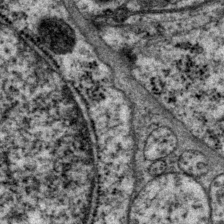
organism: P. pacificus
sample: Pharynx